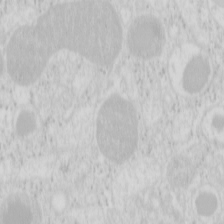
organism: Mouse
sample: Pancreas